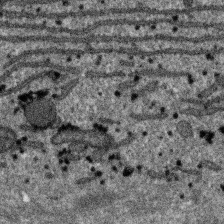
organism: Human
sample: Lung epithelial cells infected with SARS-CoV-2